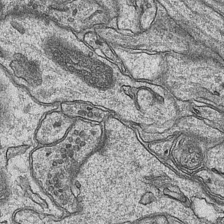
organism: Mouse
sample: CA1 Hippocampus